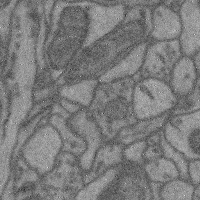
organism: Mouse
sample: Cerebral cortex